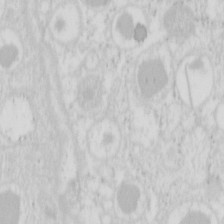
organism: Mouse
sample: Pancreas